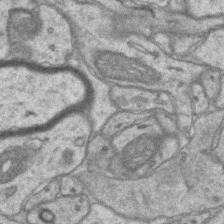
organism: Mouse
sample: CA1 Hippocampus